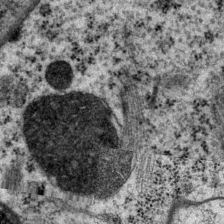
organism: P. pacificus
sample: Pharynx